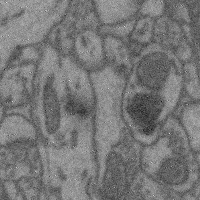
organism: Mouse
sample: Cerebral cortex